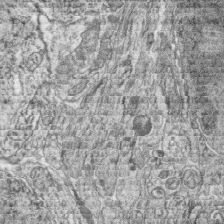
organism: Zebrafish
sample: synaptic ribbons in rod cells and cone cells